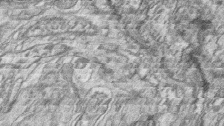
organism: Zebrafish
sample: synaptic ribbons in rod cells and cone cells